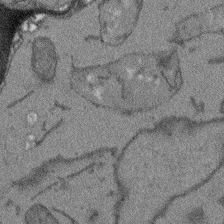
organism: Arabidopsis thaliana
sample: Root tip